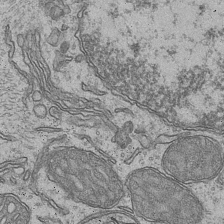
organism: Mouse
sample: CA1 Hippocampus